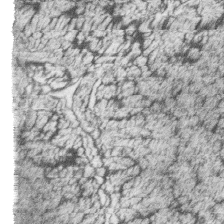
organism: Zebrafish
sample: synaptic ribbons in rod cells and cone cells